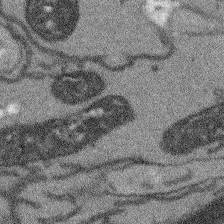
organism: Arabidopsis thaliana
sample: Root tip